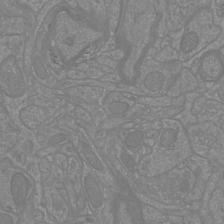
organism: Mouse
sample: Cortical neurons